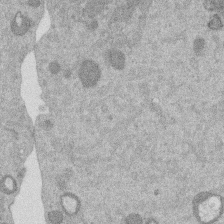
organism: Mouse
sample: Dividing mouse embryo 1 cell stage